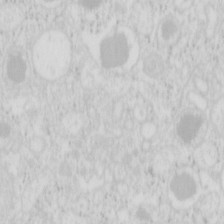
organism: Mouse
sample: Pancreas